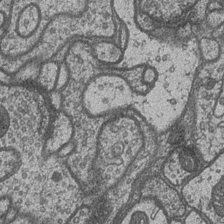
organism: Drosophila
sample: Optic medulla